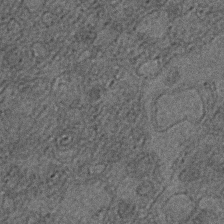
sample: Trachea